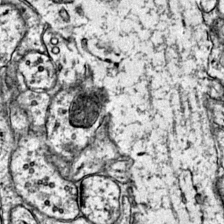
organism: Mouse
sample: Primary visual cortex